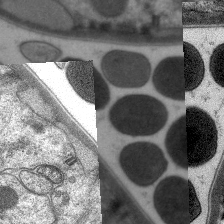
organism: C. elegans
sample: Pharynx